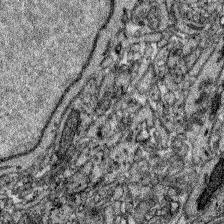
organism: Zebrafish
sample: Larval olfactory bulb